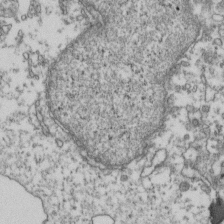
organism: Human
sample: Activated Jurkat CD4+ T cells